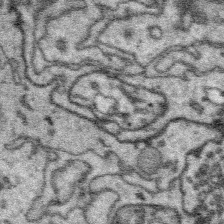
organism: Platynereis dumerilii